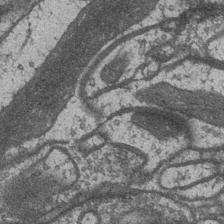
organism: Drosophila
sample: Optic medulla